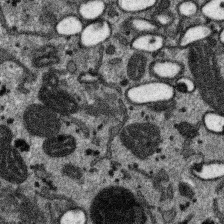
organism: Human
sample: Lung epithelial cells infected with SARS-CoV-2